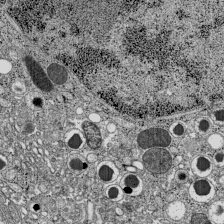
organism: C57BL Mouse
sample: Pancreatic islet